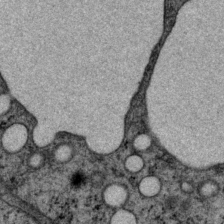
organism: P. pacificus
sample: Pharynx